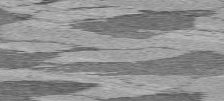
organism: C57BL Mouse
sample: Heart